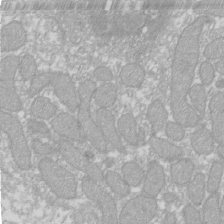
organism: Xenopus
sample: Cilia; centrioles in frog embryo cells